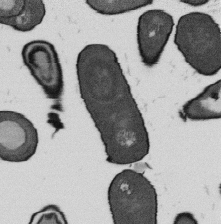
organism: B. subtilis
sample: Bacterial spore